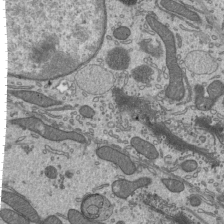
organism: Mouse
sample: Mouse epididymis efferent ductule cilia